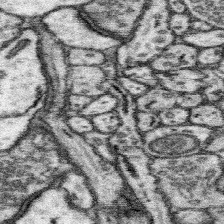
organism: Mouse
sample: Somatosensory cortex neuropil